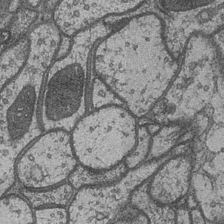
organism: Drosophila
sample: Optic medulla